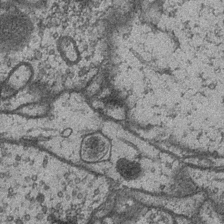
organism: Drosophila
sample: Optic medulla